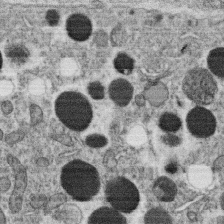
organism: C. elegans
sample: C. elegans oocyte; sperm cells